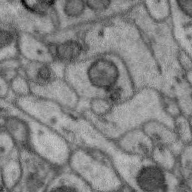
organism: Zebra finch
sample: Brain